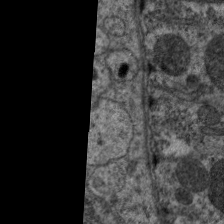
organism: C. elegans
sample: Pharynx